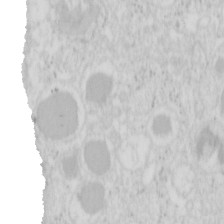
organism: Mouse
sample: Pancreas